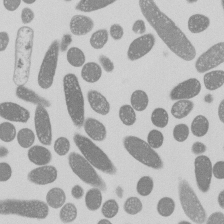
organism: E. coli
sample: Bacterial nucleoid